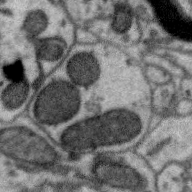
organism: Zebra finch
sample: Brain